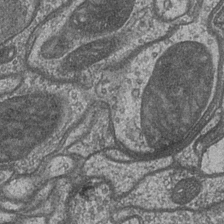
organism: Drosophila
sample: Optic medulla